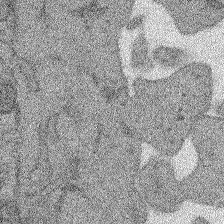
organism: Human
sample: HeLa cells